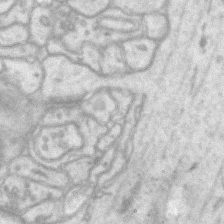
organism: Mouse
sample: CA1 Hippocampus